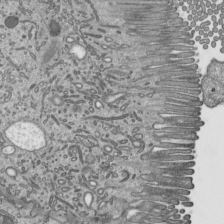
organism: Mouse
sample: Mouse epididymis efferent ductule cilia